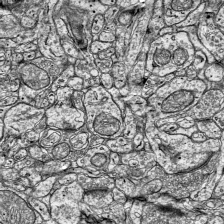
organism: Mouse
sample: Visual Cortex